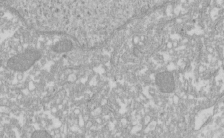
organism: Xenopus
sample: Cilia; centrioles in frog embryo cells